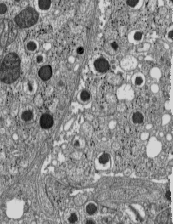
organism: C57BL Mouse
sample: Pancreatic islet